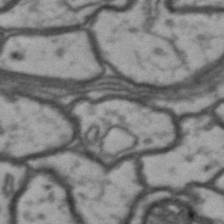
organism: Drosophila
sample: Brain